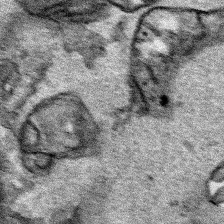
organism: Human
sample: Mitochondria in HCT116 cells